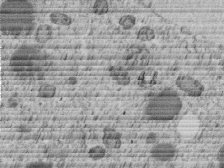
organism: C. elegans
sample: C. elegans embryo early stage